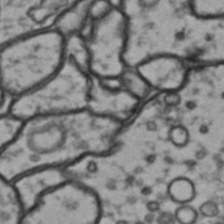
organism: Drosophila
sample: Brain